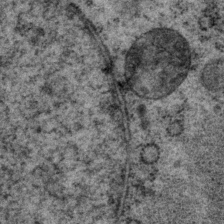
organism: P. pacificus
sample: Pharynx